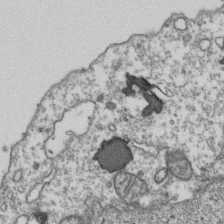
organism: Human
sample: Activated Jurkat CD4+ T cells